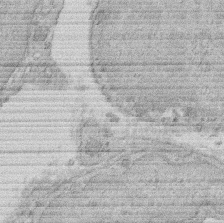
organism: Rat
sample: Salivary granule